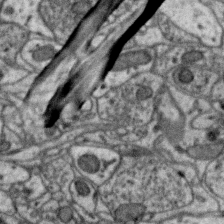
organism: Zebra finch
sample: Brain